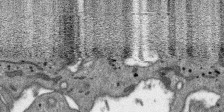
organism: Human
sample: Lung epithelial cells, uninfected (mock) control